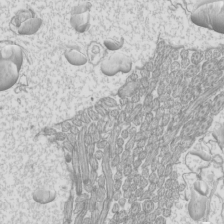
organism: Mouse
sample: Cilia; mouse epididymis